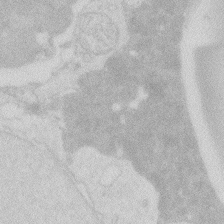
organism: Zebrafish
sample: Macrophage